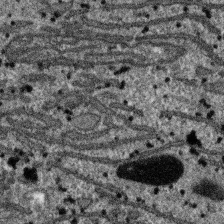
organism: Human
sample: Lung epithelial cells infected with SARS-CoV-2